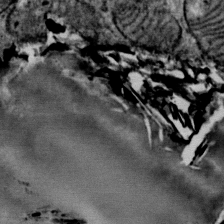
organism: Mouse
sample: Mouse Salivary gland